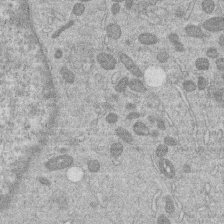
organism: Human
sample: Macrophage cells